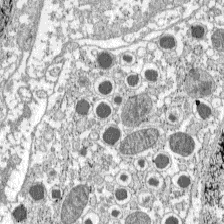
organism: C57BL Mouse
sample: Pancreatic islet